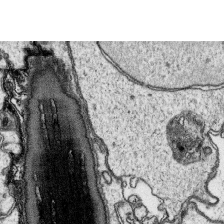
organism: Platynereis dumerilii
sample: Parapodia